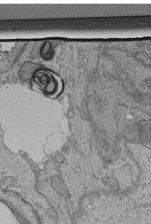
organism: Human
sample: Retinal organoid Rod and Cone cells